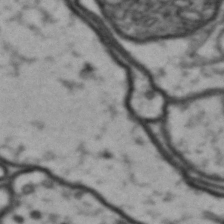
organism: Drosophila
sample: Brain